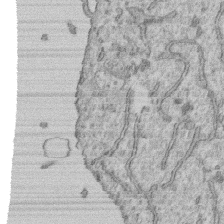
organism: Human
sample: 1205lu cells